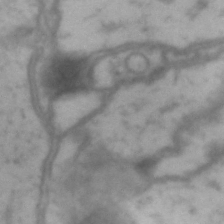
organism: Drosophila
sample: Brain